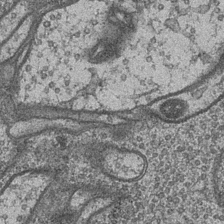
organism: Drosophila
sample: Optic medulla